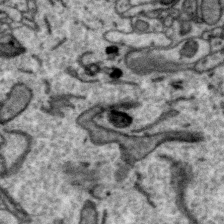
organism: Zebra finch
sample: Brain